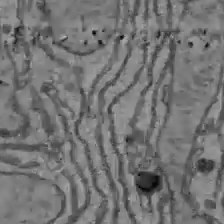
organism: C57BL Mouse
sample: Liver